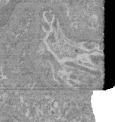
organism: Mouse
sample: Glomerulus